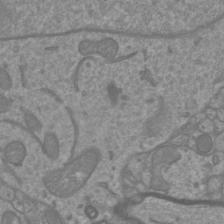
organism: Mouse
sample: Cortical neurons